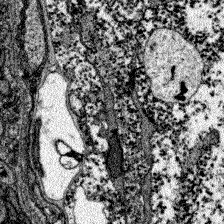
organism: Zebrafish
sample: Larval olfactory bulb